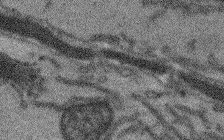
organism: Arabidopsis thaliana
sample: Root tip